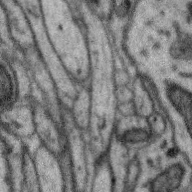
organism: Zebra finch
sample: Brain